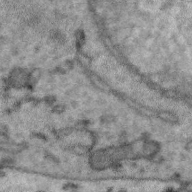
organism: Zebra finch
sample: Brain